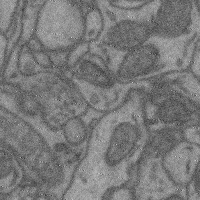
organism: Mouse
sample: Cerebral cortex